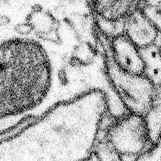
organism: Mouse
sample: Somatosensory cortex neuropil